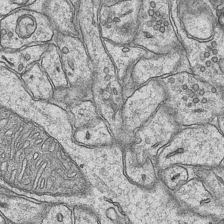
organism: Mouse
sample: CA1 Hippocampus